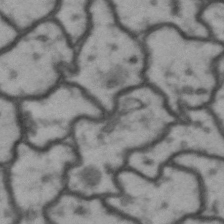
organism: Drosophila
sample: Brain